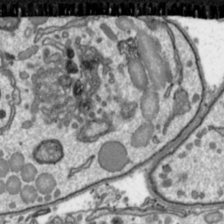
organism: Toxoplasma gondii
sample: Parasites in a vacuole inside a host cell